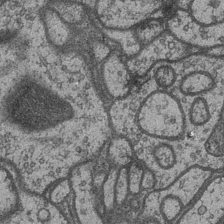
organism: Drosophila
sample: Optic medulla